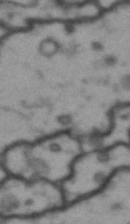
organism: Drosophila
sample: Brain